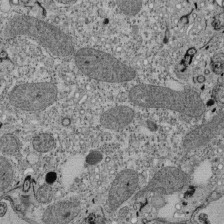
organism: Tetrahymena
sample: Cilia in tetrahymena